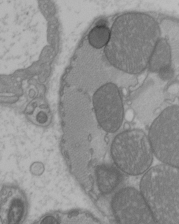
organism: C57BL Mouse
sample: Heart